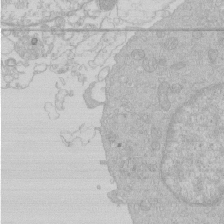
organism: Human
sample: Macrophage cells